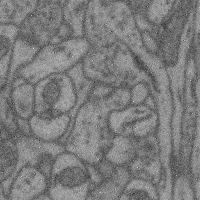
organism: Mouse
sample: Cerebral cortex